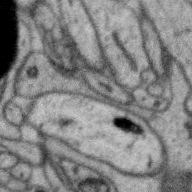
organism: Zebra finch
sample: Brain